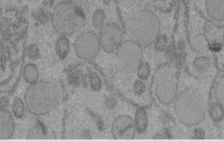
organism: C. elegans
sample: C. elegans embryo early stage